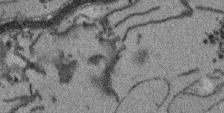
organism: Arabidopsis thaliana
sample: Root tip